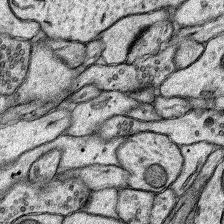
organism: Rat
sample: Hippocampus